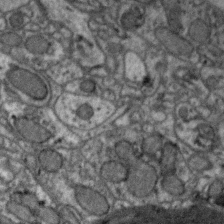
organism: Zebra finch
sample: Brain